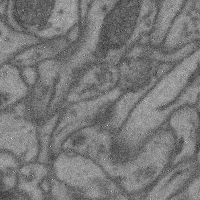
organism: Mouse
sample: Cerebral cortex